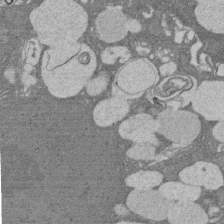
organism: Rat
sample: Salivary granule